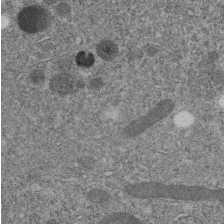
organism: C. elegans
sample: C. elegans embryo early stage